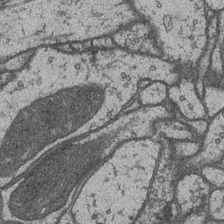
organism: Drosophila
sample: Optic medulla